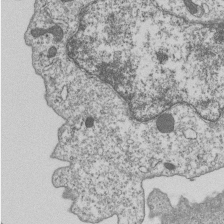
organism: Human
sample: MDA-MB-231 cells